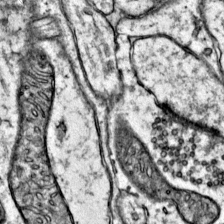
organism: Mouse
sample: Primary visual cortex